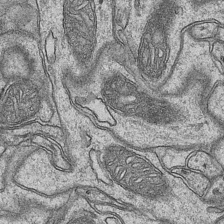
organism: Mouse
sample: CA1 Hippocampus